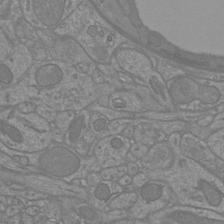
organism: Mouse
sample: Cortical neurons